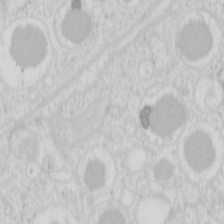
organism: Mouse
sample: Pancreas